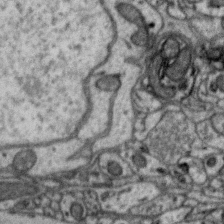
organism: Zebra finch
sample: Brain